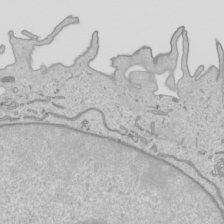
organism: Human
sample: Mitochondria in HCT116 cells